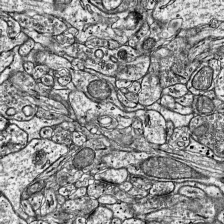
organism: Mouse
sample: Visual Cortex